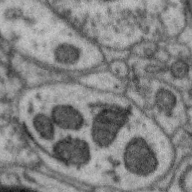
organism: Zebra finch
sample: Brain